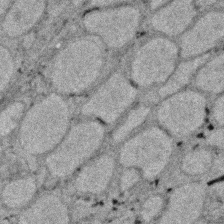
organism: Zebrafish